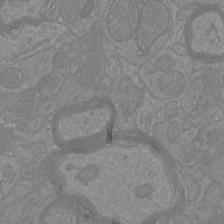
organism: Mouse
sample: Cortical neurons